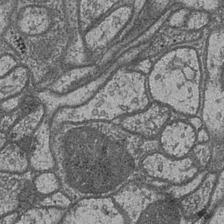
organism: Drosophila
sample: Optic medulla